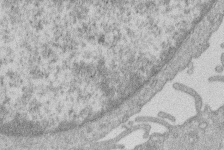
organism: Human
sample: Macrophage cells